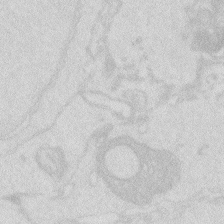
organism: Zebrafish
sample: Macrophage